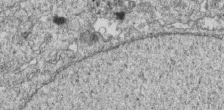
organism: Human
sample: HeLa cell HIV synapse